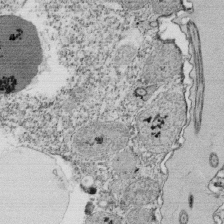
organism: Tetrahymena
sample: Cilia in tetrahymena